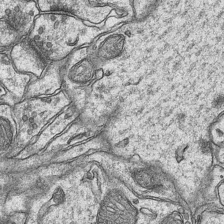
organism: Mouse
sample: CA1 Hippocampus